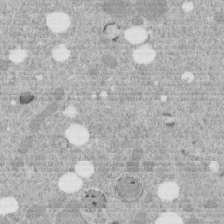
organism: C. elegans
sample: C. elegans embryo early stage